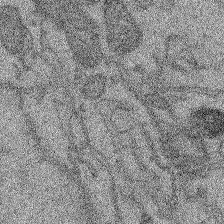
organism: Human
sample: HeLa cells